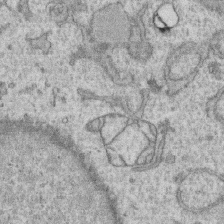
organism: Human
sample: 1205lu cells